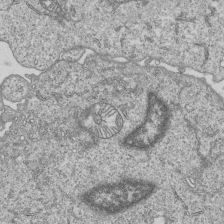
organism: Human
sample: MDA-MB-231 cells